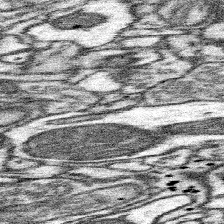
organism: Mouse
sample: Somatosensory cortex neuropil